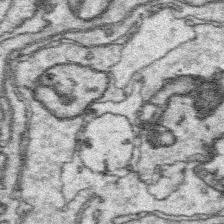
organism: Platynereis dumerilii